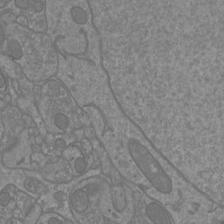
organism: Mouse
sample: Cortical neurons